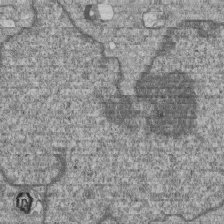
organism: Human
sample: MDA-MB-231 cells